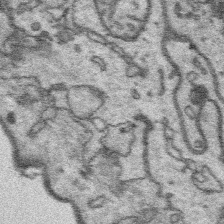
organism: Platynereis dumerilii